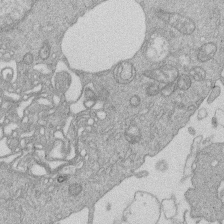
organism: Human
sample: Macrophage cells